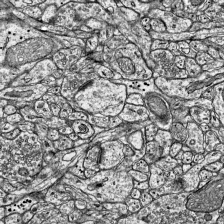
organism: Mouse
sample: Visual Cortex